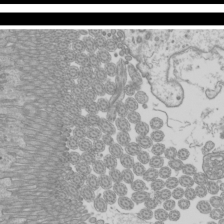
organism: Mouse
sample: Cilia; mouse epididymis